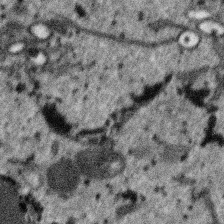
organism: Human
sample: Lung epithelial cells infected with SARS-CoV-2